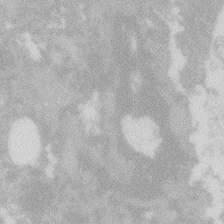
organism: Zebrafish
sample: Macrophage